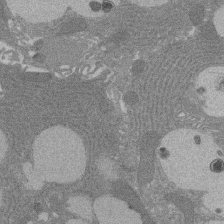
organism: Rat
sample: Salivary granule